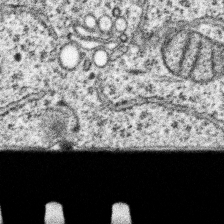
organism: Human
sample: HeLa cells